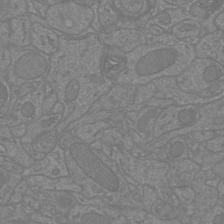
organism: Mouse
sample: Cortical neurons